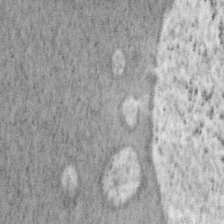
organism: Mouse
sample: OT-I killer T cells with ID8 ovarian cancer cells